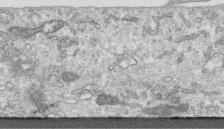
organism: Human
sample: Centriole in RPE cells